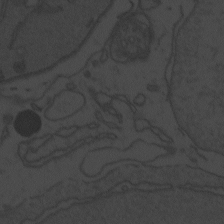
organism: Zebrafish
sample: Macrophage infected with Toxoplasma gondii